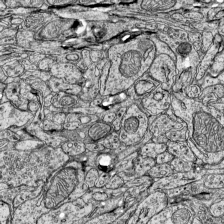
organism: Mouse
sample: Visual Cortex